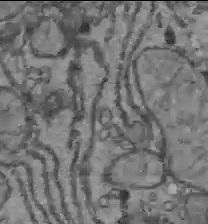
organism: C57BL Mouse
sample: Liver